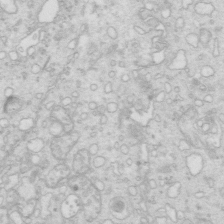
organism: Mouse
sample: Multiciliated cells